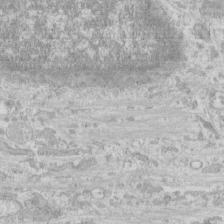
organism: Human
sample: CRL-1474